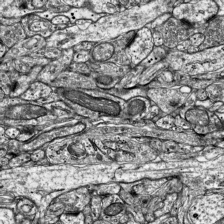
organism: Mouse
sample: Visual Cortex